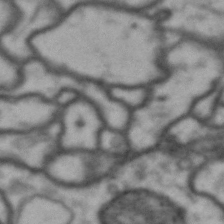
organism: Drosophila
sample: Brain